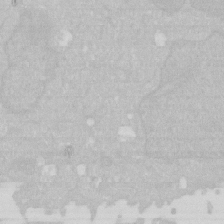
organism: Human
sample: HIV infected U937 cells